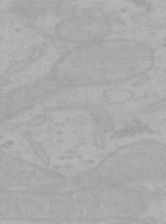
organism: Mouse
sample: Choroid plexus